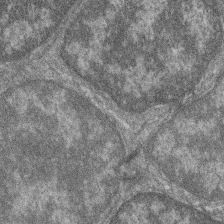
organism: Zebrafish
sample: Cilia; retinal pigment epithelium